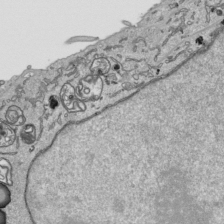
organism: Human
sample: Mitochondria in HCT116 cells